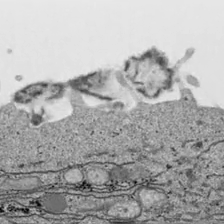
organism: Human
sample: HeLa cells